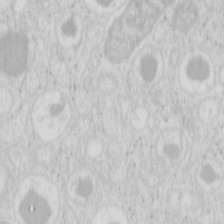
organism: Mouse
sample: Pancreas